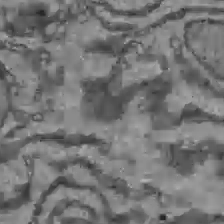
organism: C57BL Mouse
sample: Liver